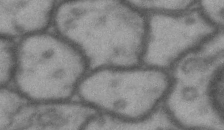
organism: Drosophila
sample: Brain